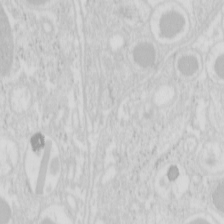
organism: Mouse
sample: Pancreas